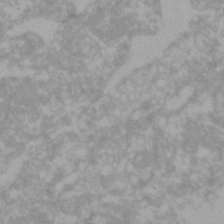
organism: Zebrafish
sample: Zebrafish embryo